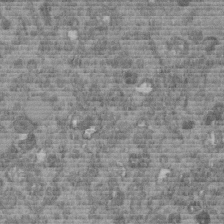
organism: C. elegans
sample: C. elegans embryo early stage